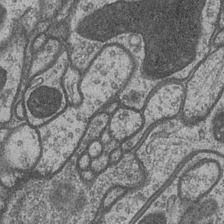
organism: Drosophila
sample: Optic medulla